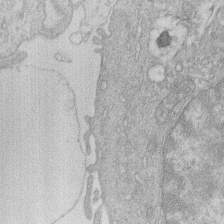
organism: Human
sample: Macrophage cells